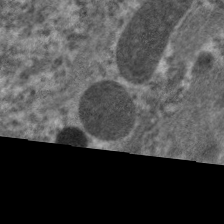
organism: C. elegans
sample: Pharynx